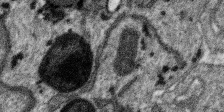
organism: Human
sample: Lung epithelial cells infected with SARS-CoV-2